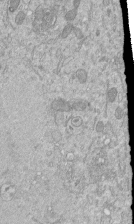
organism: Mouse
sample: ED-1 cell nuclei; centrioles